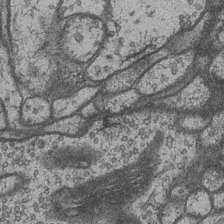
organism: Drosophila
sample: Optic medulla